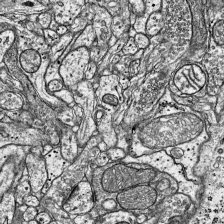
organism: Mouse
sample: Visual Cortex